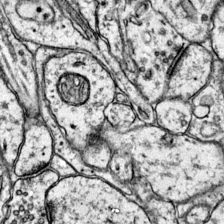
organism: Mouse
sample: Primary visual cortex